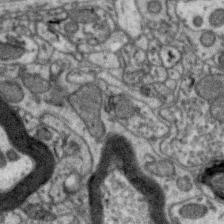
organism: Zebra finch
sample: Brain